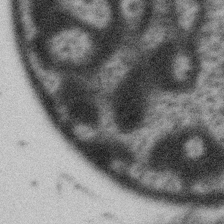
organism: Gemmata obscuriglobus